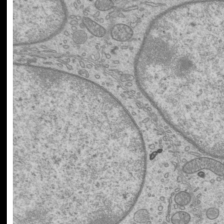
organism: Mouse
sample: Cilia; mouse epididymis